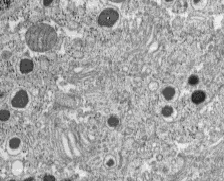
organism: C57BL Mouse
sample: Pancreatic islet